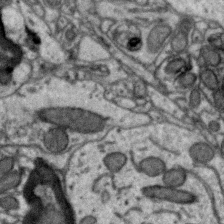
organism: Zebra finch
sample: Brain